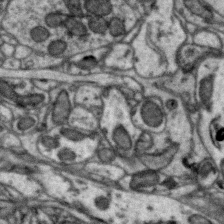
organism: Zebra finch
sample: Brain